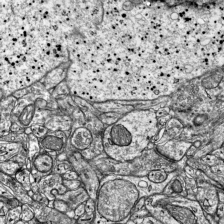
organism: Mouse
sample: Visual Cortex